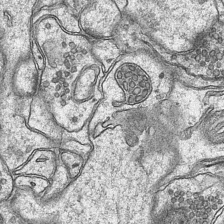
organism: Mouse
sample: CA1 Hippocampus